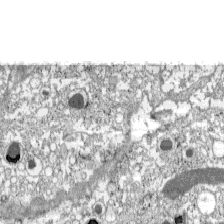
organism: C57BL Mouse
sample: Pancreatic islet